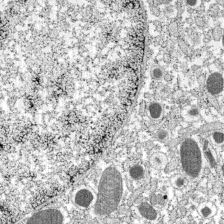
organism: C57BL Mouse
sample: Pancreatic islet